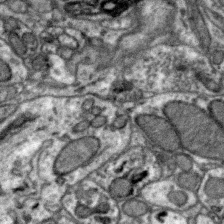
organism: Zebra finch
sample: Brain